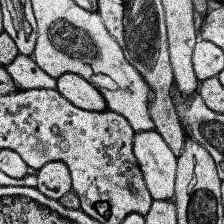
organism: Human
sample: Temporal Lobe